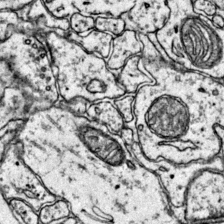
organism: Mouse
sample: Primary visual cortex